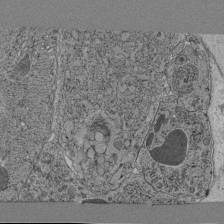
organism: C. elegans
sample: C. elegans pharynx